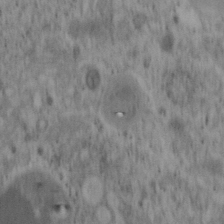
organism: Mouse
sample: OT-I killer T cells with ID8 ovarian cancer cells